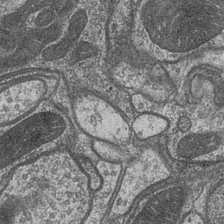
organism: Drosophila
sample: Optic medulla